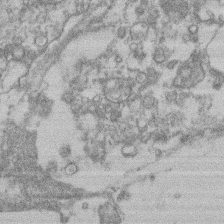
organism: Mouse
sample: T cell stromal cell synapse